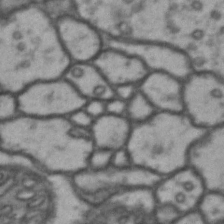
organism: Drosophila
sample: Brain